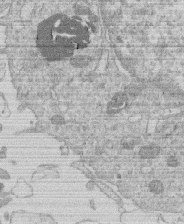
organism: Human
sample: Macrophage cells